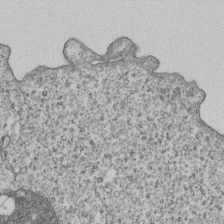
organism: Human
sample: MDA-MB-231 cells